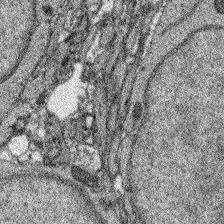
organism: Zebrafish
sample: Larval olfactory bulb